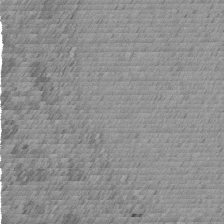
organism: C. elegans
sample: C. elegans embryo early stage